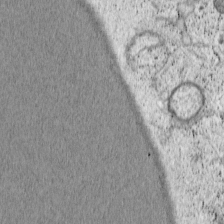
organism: African green monkey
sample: COS-7 cells